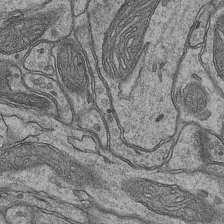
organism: Mouse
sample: CA1 Hippocampus